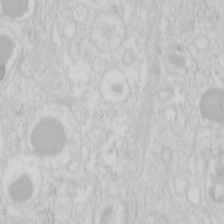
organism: Mouse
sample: Pancreas